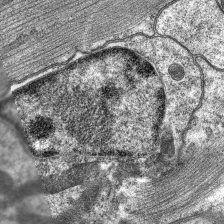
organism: C. elegans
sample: Pharynx